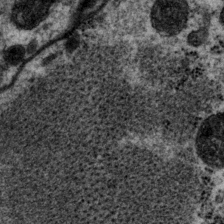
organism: P. pacificus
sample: Pharynx